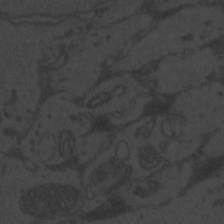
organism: Zebrafish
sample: Macrophage infected with Toxoplasma gondii